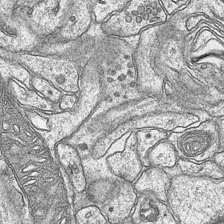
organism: Mouse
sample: CA1 Hippocampus